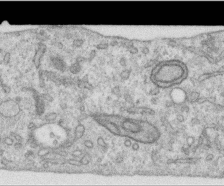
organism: Human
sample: Centriole in RPE cells